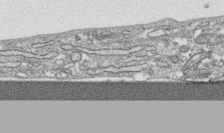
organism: Human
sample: CRL-1474